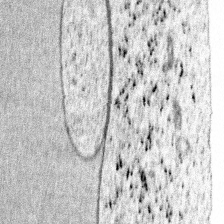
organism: Human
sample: HeLa cells